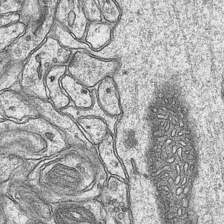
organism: Mouse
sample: CA1 Hippocampus